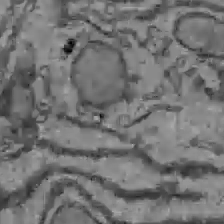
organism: C57BL Mouse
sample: Liver